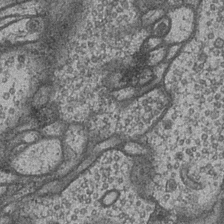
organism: Drosophila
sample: Optic medulla